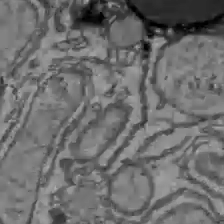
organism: C57BL Mouse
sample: Liver